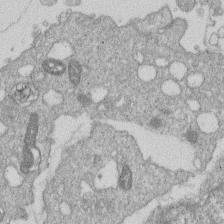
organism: Human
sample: Macrophage cells